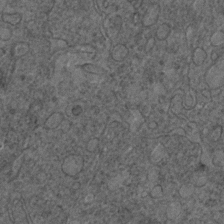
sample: Trachea